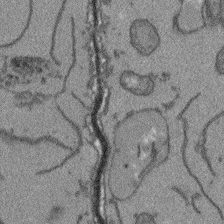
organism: Arabidopsis thaliana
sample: Root tip